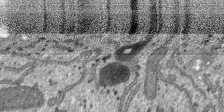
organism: Human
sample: Lung epithelial cells infected with SARS-CoV-2